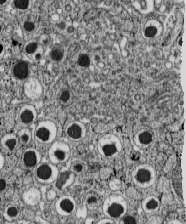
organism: C57BL Mouse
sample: Pancreatic islet